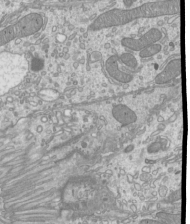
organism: Mouse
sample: Cilia; mouse epididymis